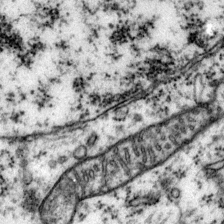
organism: Mouse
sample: Primary visual cortex